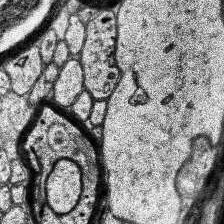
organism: Human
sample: Temporal Lobe